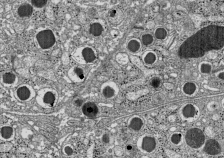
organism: C57BL Mouse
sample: Pancreatic islet